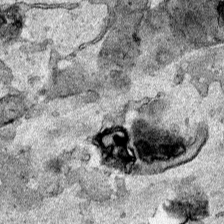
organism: Human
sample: Mitochondria in HCT116 cells